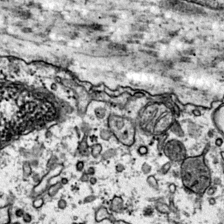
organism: Mouse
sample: Primary visual cortex